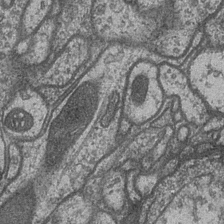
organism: Drosophila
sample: Optic medulla